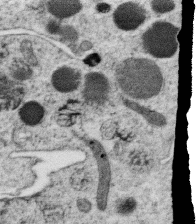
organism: C. elegans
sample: C. elegans oocyte; sperm cells